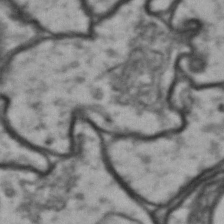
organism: Drosophila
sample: Brain